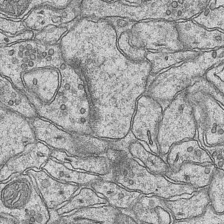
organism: Mouse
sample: CA1 Hippocampus